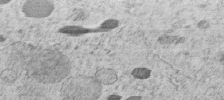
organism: C. elegans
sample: C. elegans embryo early stage